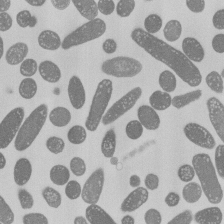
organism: E. coli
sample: Bacterial nucleoid